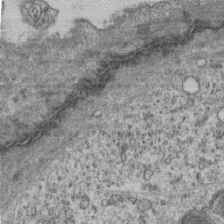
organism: Mouse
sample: Centriole in ependymal cells